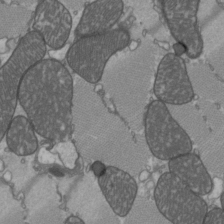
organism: C57BL Mouse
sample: Heart